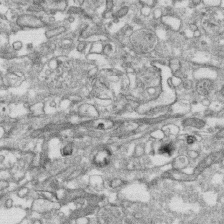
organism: Human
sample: CRL-1474